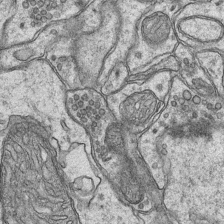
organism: Mouse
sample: CA1 Hippocampus